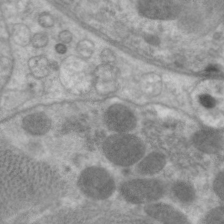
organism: C. elegans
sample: Pharynx